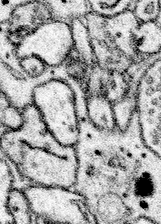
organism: Mouse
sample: Somatosensory cortex neuropil